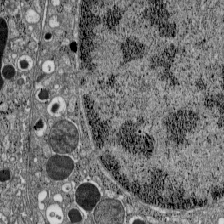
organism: C57BL Mouse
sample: Pancreatic islet